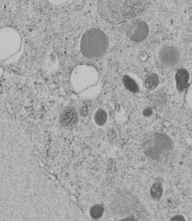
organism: C. elegans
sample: C. elegans embryo early stage